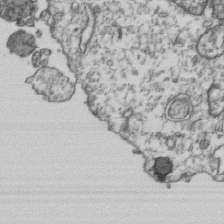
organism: Human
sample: Activated Jurkat CD4+ T cells